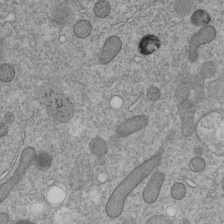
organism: C. elegans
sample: C. elegans embryo early stage